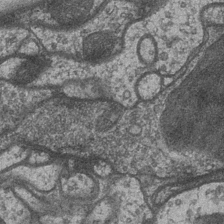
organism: Drosophila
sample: Optic medulla